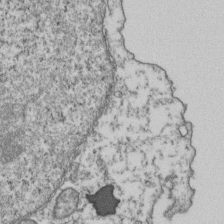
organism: Human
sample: Activated Jurkat CD4+ T cells